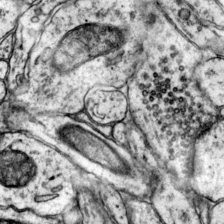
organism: Mouse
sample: Primary visual cortex